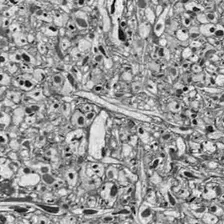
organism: Drosophila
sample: Optic lobe